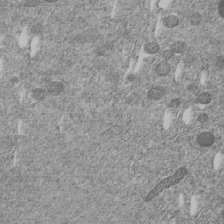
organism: C. elegans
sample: C. elegans embryo early stage